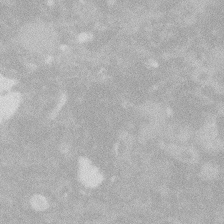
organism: Zebrafish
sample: Macrophage